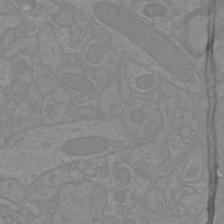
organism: Mouse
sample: Cortical neurons